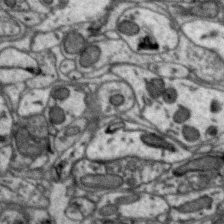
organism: Zebra finch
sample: Brain